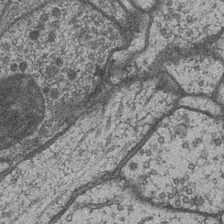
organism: Drosophila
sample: Optic medulla